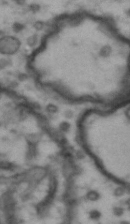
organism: Drosophila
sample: Brain